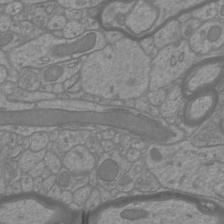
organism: Mouse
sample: Cortical neurons